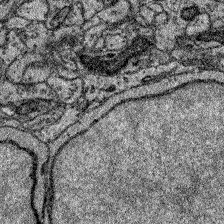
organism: Zebrafish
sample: Larval olfactory bulb